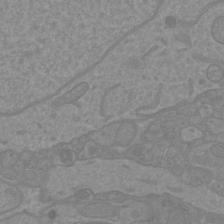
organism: Mouse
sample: Cortical neurons